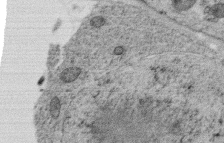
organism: C. elegans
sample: C. elegans oocyte; sperm cells